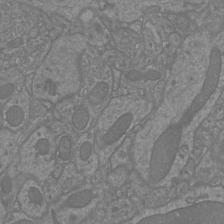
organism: Mouse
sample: Cortical neurons